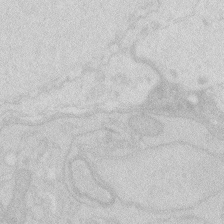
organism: Zebrafish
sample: Macrophage